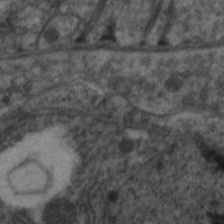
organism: C. elegans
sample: Pharynx